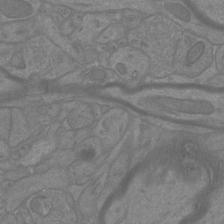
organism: Mouse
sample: Cortical neurons